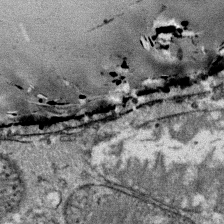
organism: Mouse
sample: Mouse Salivary gland